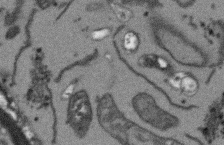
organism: Arabidopsis thaliana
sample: Root tip